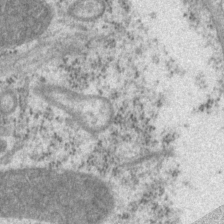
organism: P. pacificus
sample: Pharynx